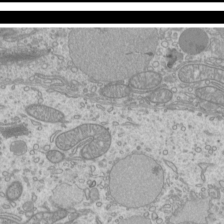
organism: Mouse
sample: Cilia; mouse epididymis